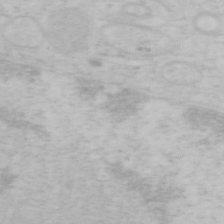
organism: Mouse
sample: OT-I killer T cells with ID8 ovarian cancer cells